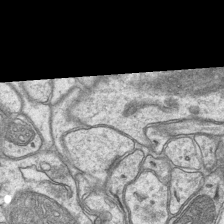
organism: Mouse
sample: CA1 Hippocampus